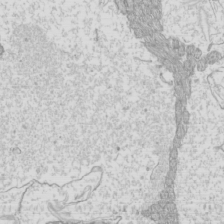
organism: Mouse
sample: Cilia; mouse epididymis